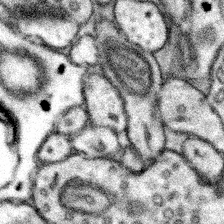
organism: Mouse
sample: Somatosensory cortex neuropil